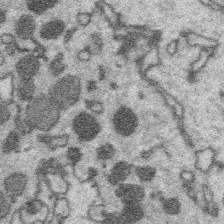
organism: Platynereis dumerilii